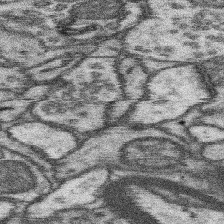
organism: Mouse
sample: Somatosensory cortex neuropil